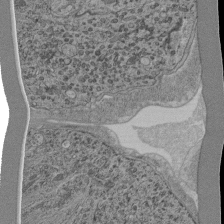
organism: C. elegans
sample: C. elegans pharynx